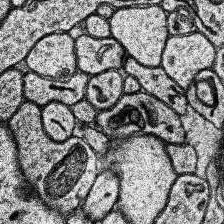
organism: Human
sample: Temporal Lobe